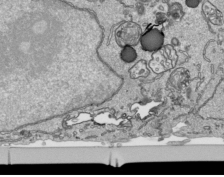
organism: Human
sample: Mitochondria in HCT116 cells